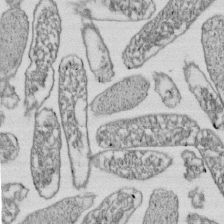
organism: E. coli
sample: Bacterial nucleoid